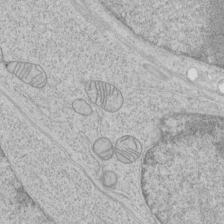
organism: Human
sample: Mitochondria in HCT116 cells